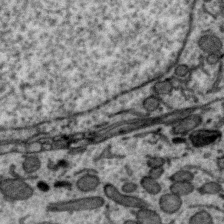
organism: Zebra finch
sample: Brain